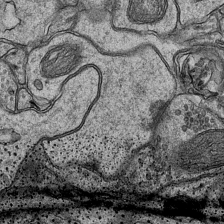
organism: Mouse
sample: CA1 Hippocampus